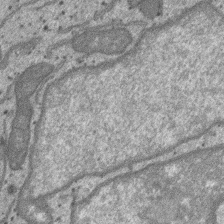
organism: Human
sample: Lung epithelial cells infected with SARS-CoV-2